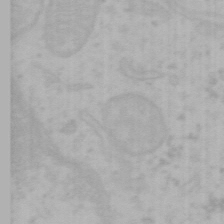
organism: Mouse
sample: Choroid plexus